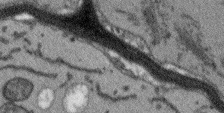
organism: Arabidopsis thaliana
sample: Root tip